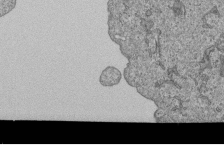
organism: Human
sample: MDA-MB-231 cells